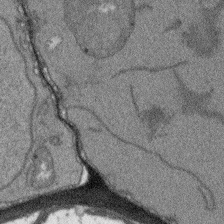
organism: Arabidopsis thaliana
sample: Root tip